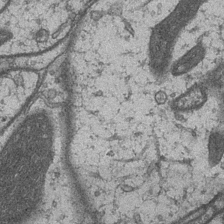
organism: Drosophila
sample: Optic medulla